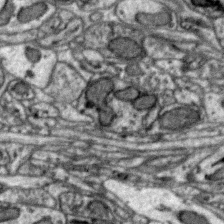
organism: Zebra finch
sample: Brain